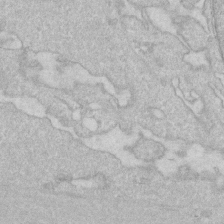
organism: Human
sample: Fibroblast cells